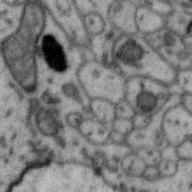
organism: Zebra finch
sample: Brain